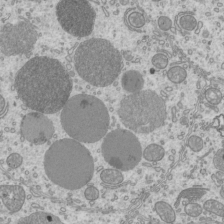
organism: Mouse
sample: Cilia; mouse epididymis